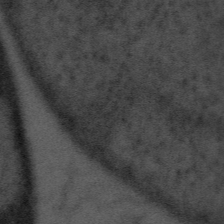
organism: Tuwongella immobilis